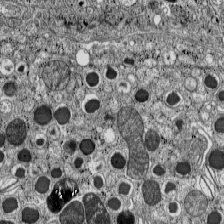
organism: C57BL Mouse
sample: Pancreatic islet